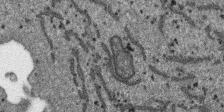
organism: Human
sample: Lung epithelial cells infected with SARS-CoV-2